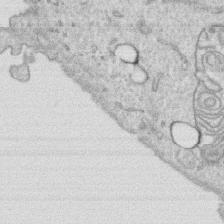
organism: Human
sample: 1205lu cells